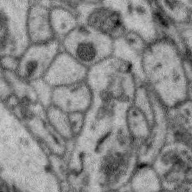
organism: Zebra finch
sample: Brain